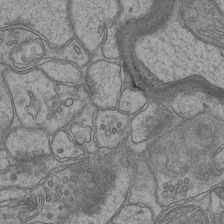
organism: Mouse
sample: CA1 Hippocampus